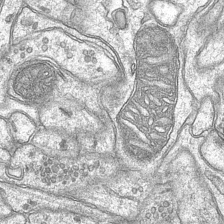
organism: Mouse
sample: CA1 Hippocampus